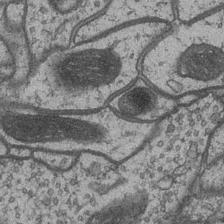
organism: Drosophila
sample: Optic medulla